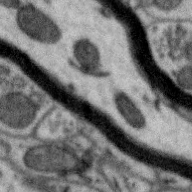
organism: Zebra finch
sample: Brain